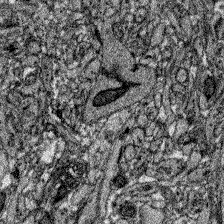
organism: Zebrafish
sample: Larval olfactory bulb